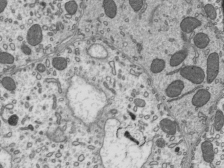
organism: Mouse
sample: Mouse epididymis efferent ductule cilia